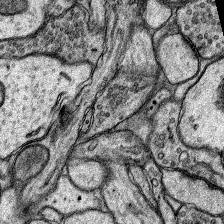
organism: Rat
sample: Hippocampus